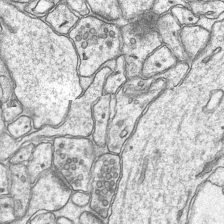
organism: Mouse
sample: CA1 Hippocampus